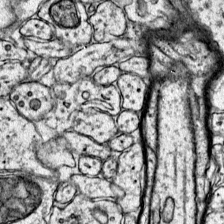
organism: Mouse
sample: Primary visual cortex